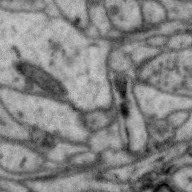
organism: Zebra finch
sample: Brain